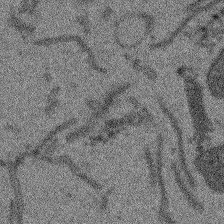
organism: Arabidopsis thaliana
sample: Root tip